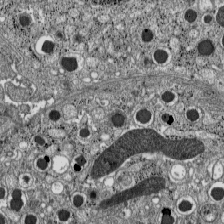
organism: C57BL Mouse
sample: Pancreatic islet